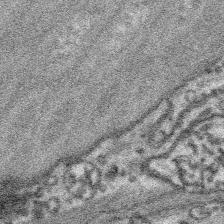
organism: Platynereis dumerilii